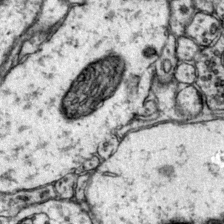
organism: Mouse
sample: Primary visual cortex